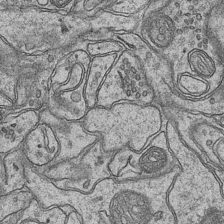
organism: Mouse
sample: CA1 Hippocampus